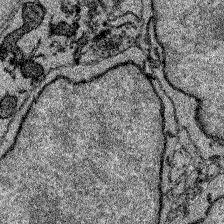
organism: Zebrafish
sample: Larval olfactory bulb